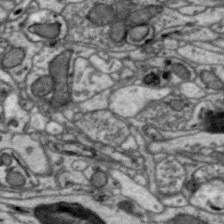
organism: Zebra finch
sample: Brain